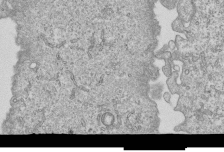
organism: Human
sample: MDA-MB-231 cells